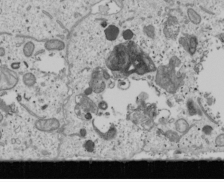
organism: Human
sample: Mitochondria in U2OS cells